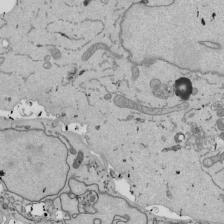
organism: Mouse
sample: ED-1 cell nuclei; centrioles